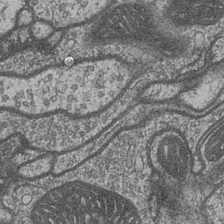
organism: Drosophila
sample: Optic medulla